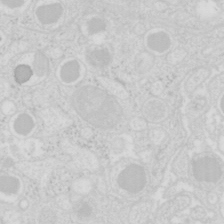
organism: Mouse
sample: Pancreas